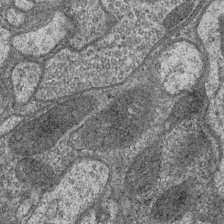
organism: Drosophila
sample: Optic medulla